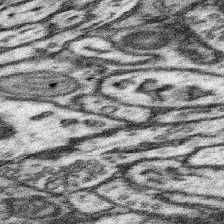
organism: Mouse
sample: Somatosensory cortex neuropil